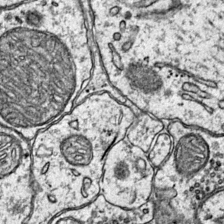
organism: Mouse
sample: Primary visual cortex